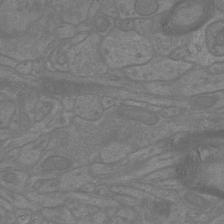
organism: Mouse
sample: Cortical neurons